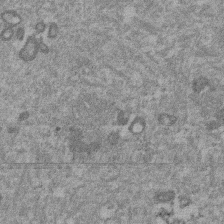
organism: Mouse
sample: Dividing mouse embryo 1 cell stage